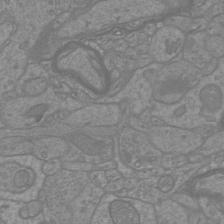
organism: Mouse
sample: Cortical neurons